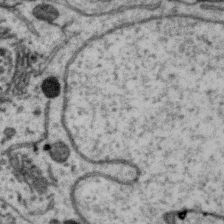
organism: Zebra finch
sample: Brain